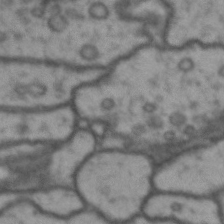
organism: Drosophila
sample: Brain